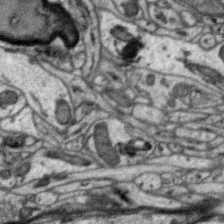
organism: Zebra finch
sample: Brain